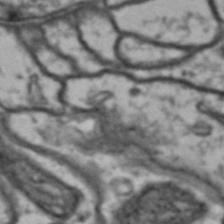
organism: Drosophila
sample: Brain